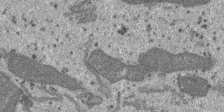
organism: Human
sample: Lung epithelial cells infected with SARS-CoV-2